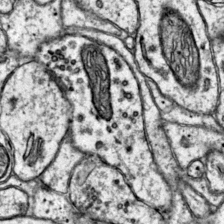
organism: Mouse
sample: Primary visual cortex